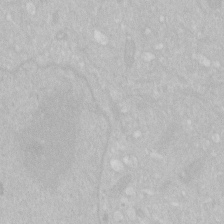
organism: Human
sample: HIV infected U937 cells